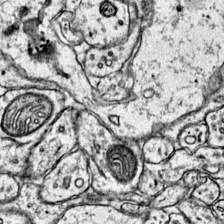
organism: Mouse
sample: Primary visual cortex